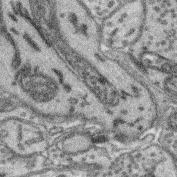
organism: Mouse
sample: Retina